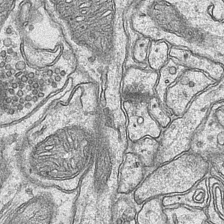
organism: Mouse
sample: CA1 Hippocampus